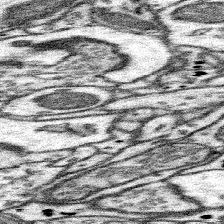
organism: Mouse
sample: Somatosensory cortex neuropil